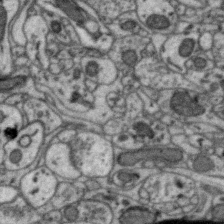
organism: Zebra finch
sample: Brain